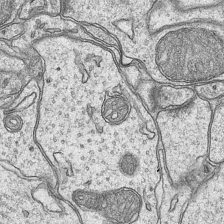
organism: Mouse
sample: CA1 Hippocampus